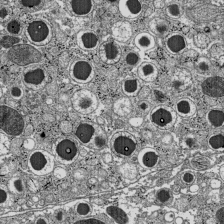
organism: C57BL Mouse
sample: Pancreatic islet